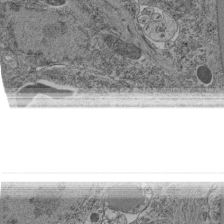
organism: C. elegans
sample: C. elegans pharynx